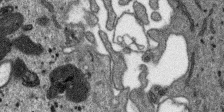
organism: Human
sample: Lung epithelial cells infected with SARS-CoV-2